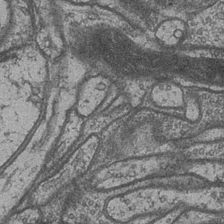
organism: Drosophila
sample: Optic medulla